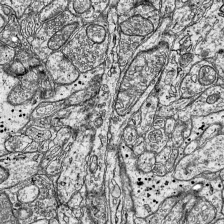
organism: Mouse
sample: Visual Cortex